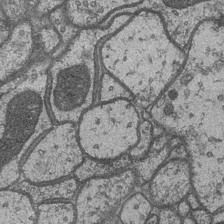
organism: Drosophila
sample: Optic medulla